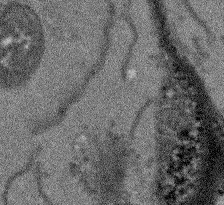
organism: Arabidopsis thaliana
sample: Root tip